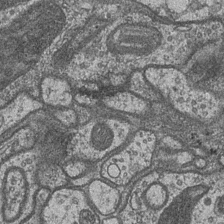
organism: Drosophila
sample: Optic medulla